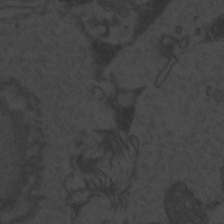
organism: Zebrafish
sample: Macrophage infected with Toxoplasma gondii